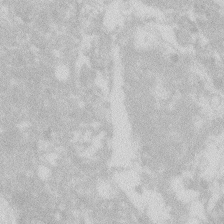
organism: Zebrafish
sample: Macrophage